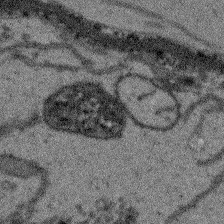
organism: Arabidopsis thaliana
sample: Root tip